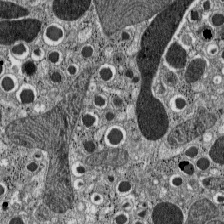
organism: C57BL Mouse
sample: Pancreatic islet